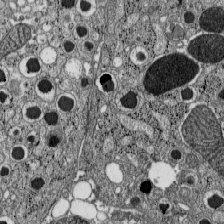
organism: C57BL Mouse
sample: Pancreatic islet